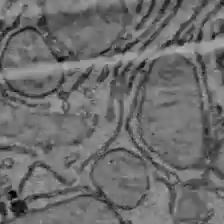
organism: C57BL Mouse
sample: Liver